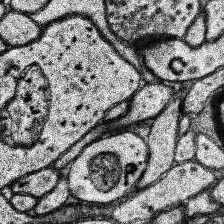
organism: Human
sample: Temporal Lobe